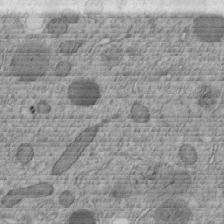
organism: C. elegans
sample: C. elegans embryo early stage